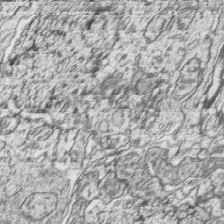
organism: Zebrafish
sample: synaptic ribbons in rod cells and cone cells